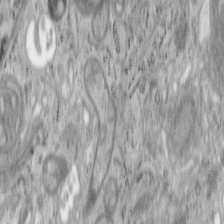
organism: Human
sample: HeLa cells